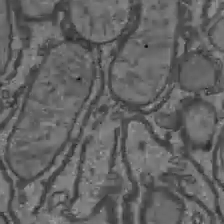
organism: C57BL Mouse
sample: Liver